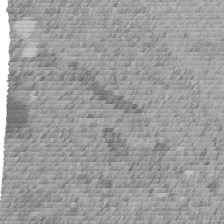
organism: C. elegans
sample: C. elegans embryo early stage